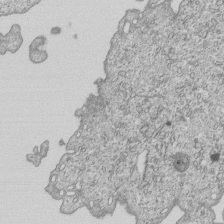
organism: Human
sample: MDA-MB-231 cells